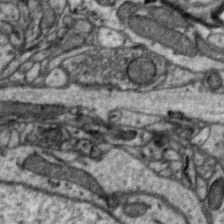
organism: Zebra finch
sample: Brain